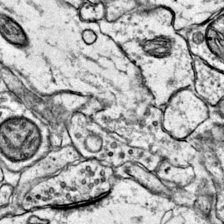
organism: Mouse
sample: Primary visual cortex